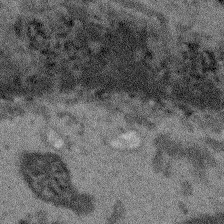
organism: Arabidopsis thaliana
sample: Root tip